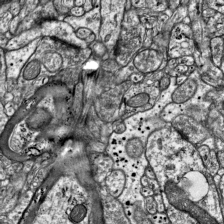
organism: Mouse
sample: Visual Cortex